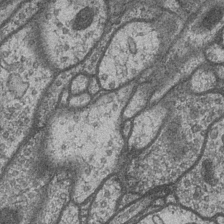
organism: Drosophila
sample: Optic medulla